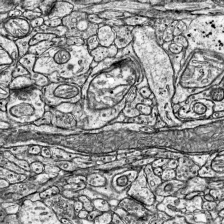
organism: Mouse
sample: Visual Cortex